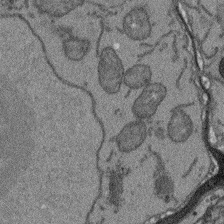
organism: Arabidopsis thaliana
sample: Root tip